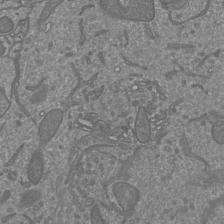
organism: Mouse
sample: Cortical neurons